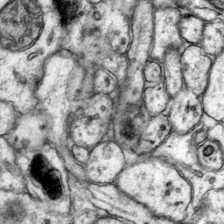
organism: Mouse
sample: Primary visual cortex